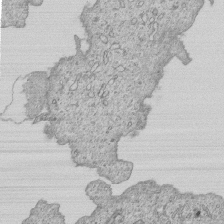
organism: Human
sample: MDA-MB-231 cells